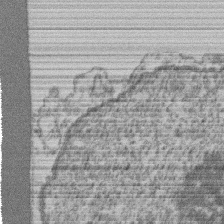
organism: Mouse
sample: T cell stromal cell synapse